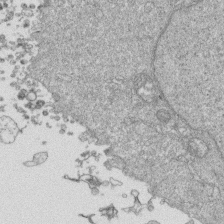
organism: Human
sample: HeLa cell HIV synapse